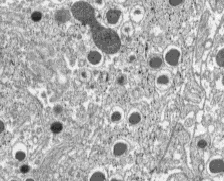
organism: C57BL Mouse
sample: Pancreatic islet